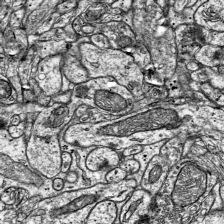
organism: Mouse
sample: Visual Cortex